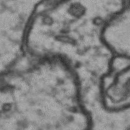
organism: Drosophila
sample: Brain